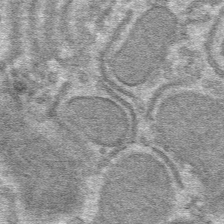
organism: Mouse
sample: Mouse hepatocytes